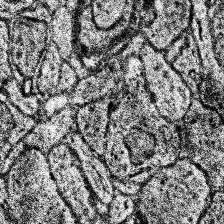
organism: Human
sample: Temporal Lobe